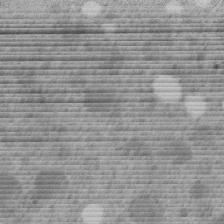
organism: C. elegans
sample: C. elegans embryo early stage